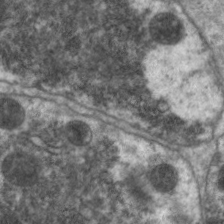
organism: C. elegans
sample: Pharynx